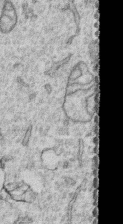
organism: Human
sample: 1205lu cells